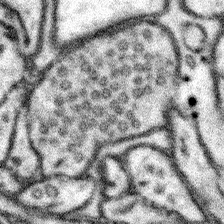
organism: Mouse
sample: Somatosensory cortex neuropil